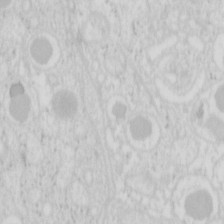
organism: Mouse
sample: Pancreas